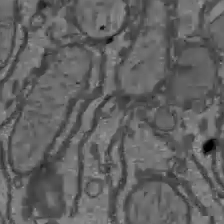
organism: C57BL Mouse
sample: Liver